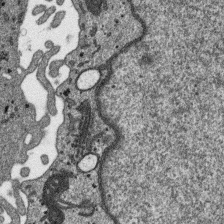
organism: Human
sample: Lung epithelial cells infected with SARS-CoV-2